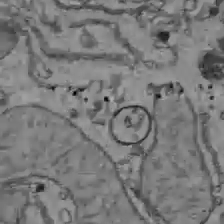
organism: C57BL Mouse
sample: Liver